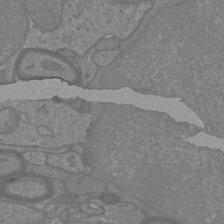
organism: Mouse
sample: Cortical neurons